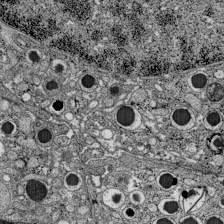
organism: C57BL Mouse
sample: Pancreatic islet